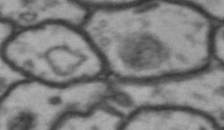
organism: Drosophila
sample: Brain